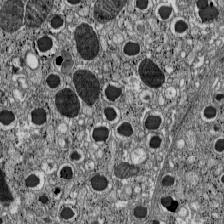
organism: C57BL Mouse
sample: Pancreatic islet